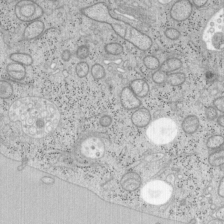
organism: Mouse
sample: OT-I killer T cells with ID8 ovarian cancer cells